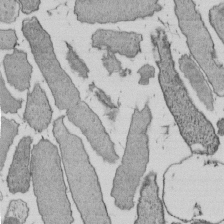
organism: E. coli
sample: Bacterial nucleoid